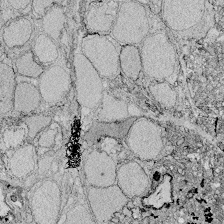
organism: Zebrafish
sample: Whole-Brain